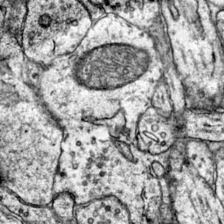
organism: Mouse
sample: Primary visual cortex